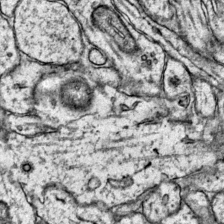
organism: Mouse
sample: Primary visual cortex